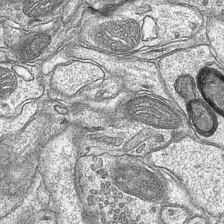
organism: Mouse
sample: CA1 Hippocampus